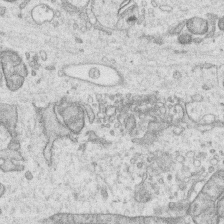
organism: Human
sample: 1205lu cells